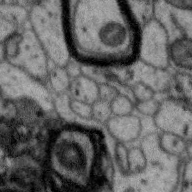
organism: Zebra finch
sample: Brain